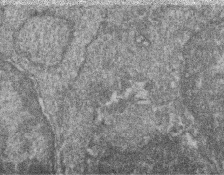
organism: Zebrafish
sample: Cilia; retinal pigment epithelium